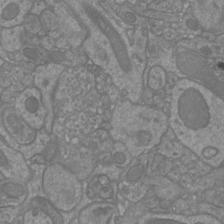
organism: Mouse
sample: Cortical neurons